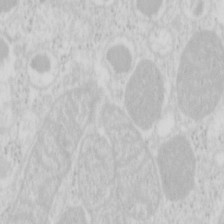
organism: Mouse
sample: Pancreas